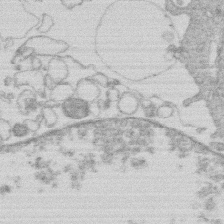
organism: Human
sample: Macrophage cells